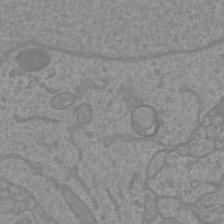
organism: Mouse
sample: Cortical neurons